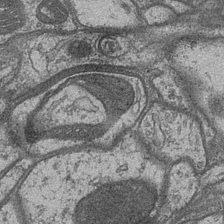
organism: Drosophila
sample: Optic medulla